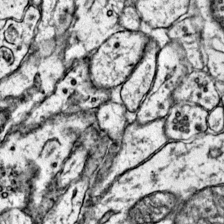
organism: Mouse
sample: Primary visual cortex